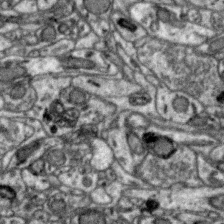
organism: Zebra finch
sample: Brain